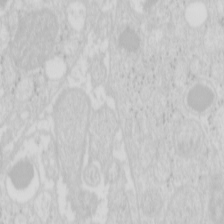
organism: Mouse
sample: Pancreas